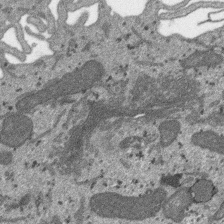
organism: Human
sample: Lung epithelial cells infected with SARS-CoV-2